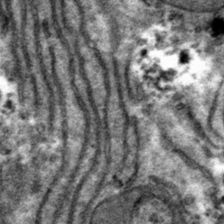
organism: Mouse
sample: Mouse hepatocytes